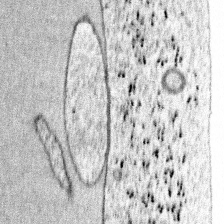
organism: Human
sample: HeLa cells